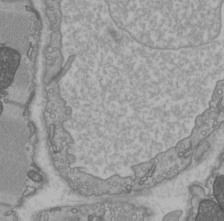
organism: C57BL Mouse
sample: Heart